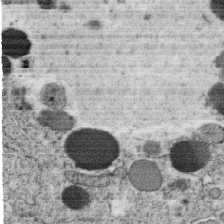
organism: C. elegans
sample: C. elegans oocyte; sperm cells